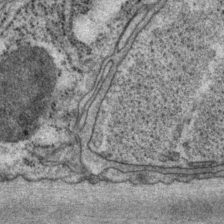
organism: P. pacificus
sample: Pharynx